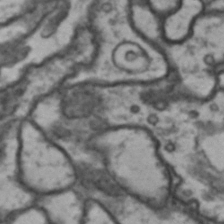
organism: Drosophila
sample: Brain